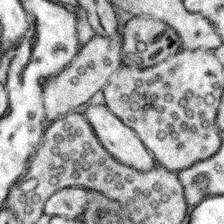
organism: Mouse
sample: Somatosensory cortex neuropil